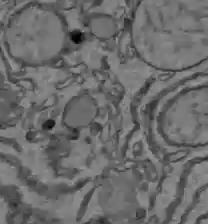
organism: C57BL Mouse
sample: Liver